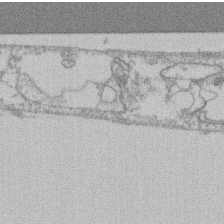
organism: Mouse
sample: T cell stromal cell synapse